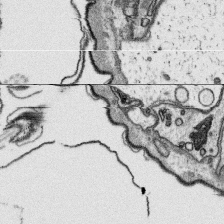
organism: Platynereis dumerilii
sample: Parapodia